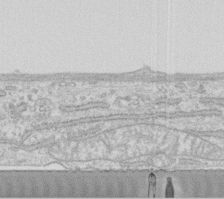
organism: Human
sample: Fibroblast cells